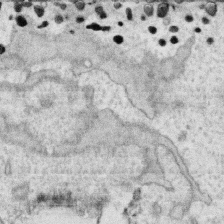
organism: Human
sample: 1205lu cells